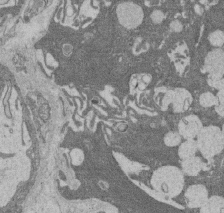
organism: Rat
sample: Salivary granule